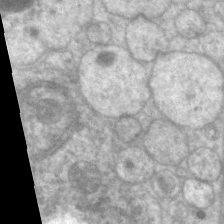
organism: C. elegans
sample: Pharynx